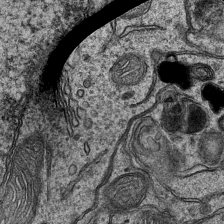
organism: Mouse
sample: CA1 Hippocampus